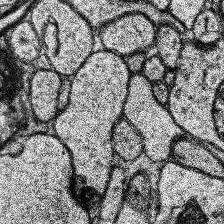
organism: Human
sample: Temporal Lobe